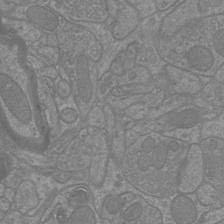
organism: Mouse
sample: Cortical neurons